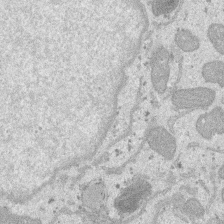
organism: Human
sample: Lung epithelial cells infected with SARS-CoV-2